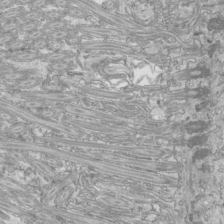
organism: Mouse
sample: Cilia; mouse epididymis